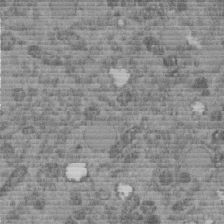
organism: C. elegans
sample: C. elegans embryo early stage